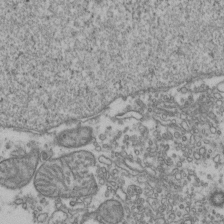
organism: Human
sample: Activated Jurkat CD4+ T cells